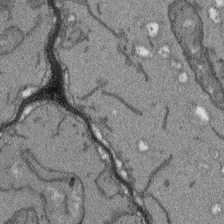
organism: Arabidopsis thaliana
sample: Root tip